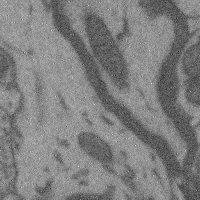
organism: Mouse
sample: Cerebral cortex